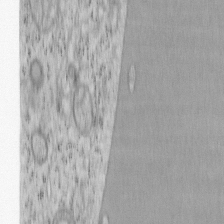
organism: Human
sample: HeLa cells